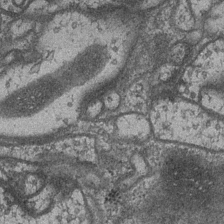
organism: Drosophila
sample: Optic medulla